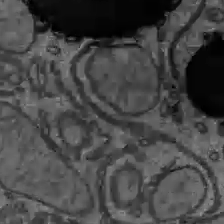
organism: C57BL Mouse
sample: Liver